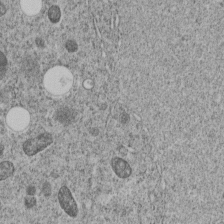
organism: C. elegans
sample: C. elegans embryo early stage